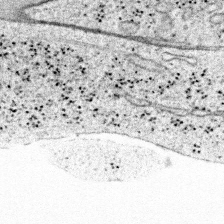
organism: Human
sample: HeLa cells